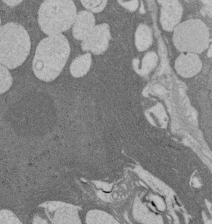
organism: Rat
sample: Salivary granule